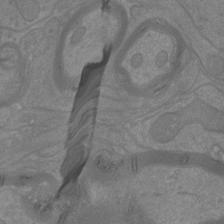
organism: Mouse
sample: Cortical neurons